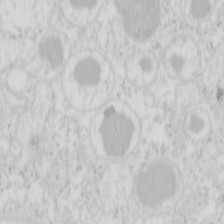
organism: Mouse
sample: Pancreas